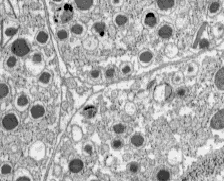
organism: C57BL Mouse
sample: Pancreatic islet